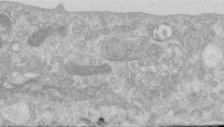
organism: Human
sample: Centriole in RPE cells